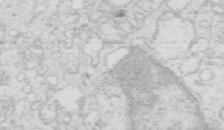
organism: Mouse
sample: Multiciliated cells